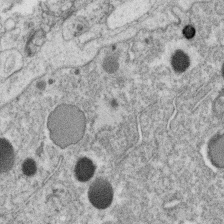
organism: C. elegans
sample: C. elegans oocyte; sperm cells